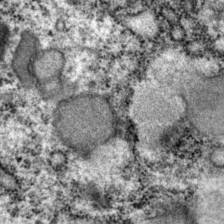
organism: P. pacificus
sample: Pharynx